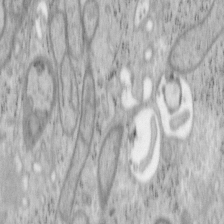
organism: Human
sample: HeLa cells